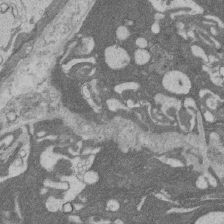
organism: Rat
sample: Salivary granule